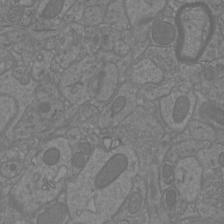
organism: Mouse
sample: Cortical neurons